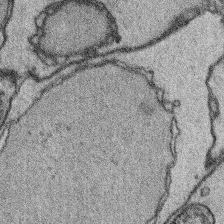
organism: Platynereis dumerilii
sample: Parapodia